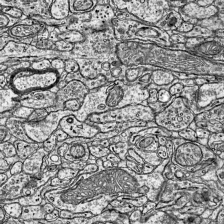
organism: Mouse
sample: Visual Cortex